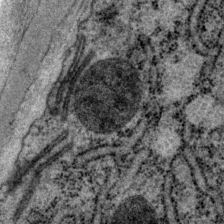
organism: P. pacificus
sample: Pharynx